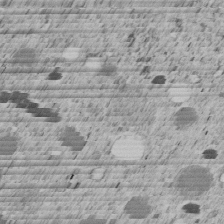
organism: C. elegans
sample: C. elegans embryo early stage